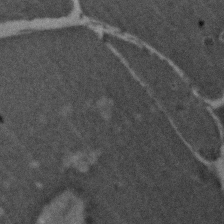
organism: Zebrafish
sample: Zebrafish embryo